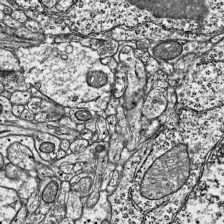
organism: Mouse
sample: Visual Cortex